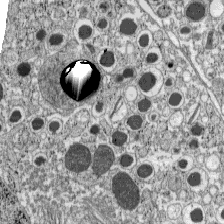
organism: C57BL Mouse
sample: Pancreatic islet